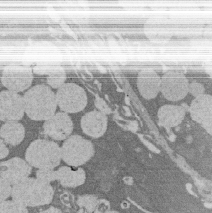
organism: Rat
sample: Salivary granule